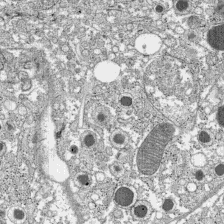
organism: C57BL Mouse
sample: Pancreatic islet